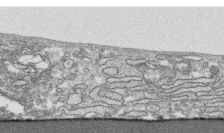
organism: Human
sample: CRL-1474